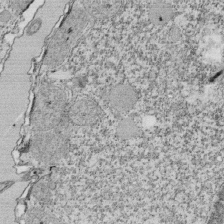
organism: Tetrahymena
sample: Cilia in tetrahymena